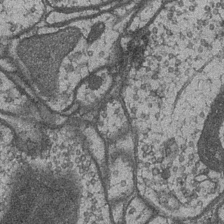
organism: Drosophila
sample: Optic medulla